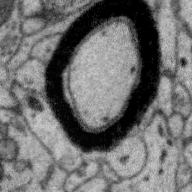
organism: Zebra finch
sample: Brain